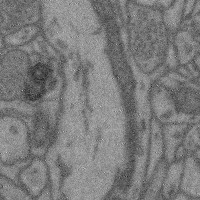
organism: Mouse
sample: Cerebral cortex